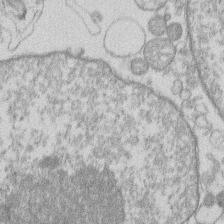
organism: Human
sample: Macrophage cells